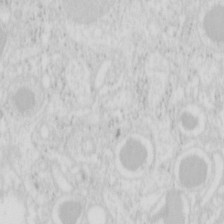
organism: Mouse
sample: Pancreas